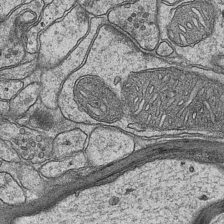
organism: Mouse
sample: CA1 Hippocampus